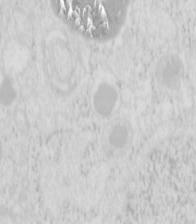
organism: Mouse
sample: Pancreas